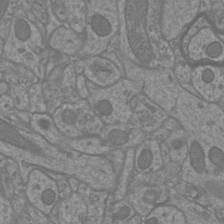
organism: Mouse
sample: Cortical neurons